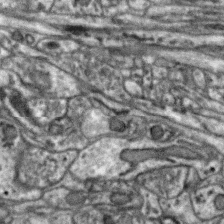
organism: Zebra finch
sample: Brain